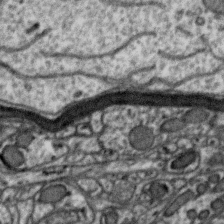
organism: Zebra finch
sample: Brain